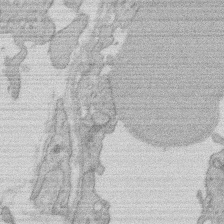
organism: Rat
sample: Salivary granule